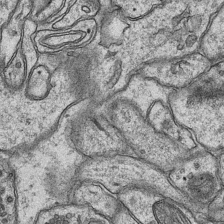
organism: Mouse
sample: CA1 Hippocampus